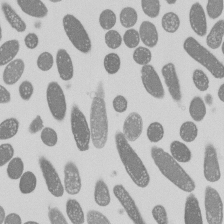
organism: E. coli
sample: Bacterial nucleoid